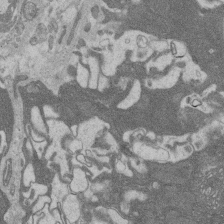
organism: Rat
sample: Salivary granule